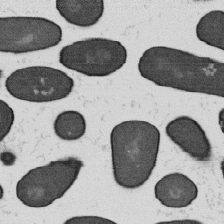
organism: B. subtilis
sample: Bacterial spore